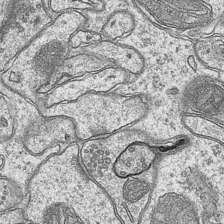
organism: Mouse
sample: CA1 Hippocampus